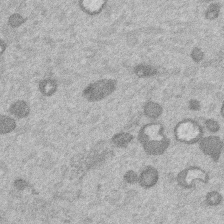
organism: Mouse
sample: Dividing mouse embryo 1 cell stage